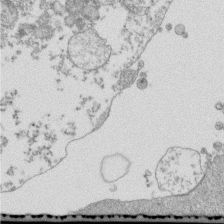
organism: Human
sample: HeLa cell HIV synapse